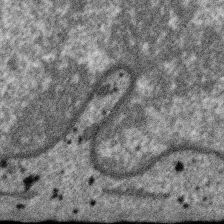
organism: Human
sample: Lung epithelial cells infected with SARS-CoV-2